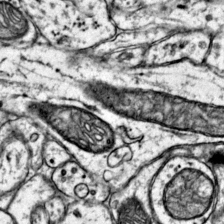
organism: Mouse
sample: Primary visual cortex